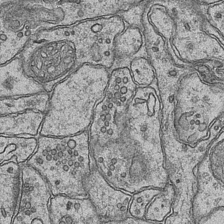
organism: Mouse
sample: CA1 Hippocampus